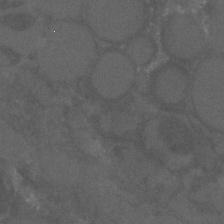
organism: C. elegans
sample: C. elegans embryo